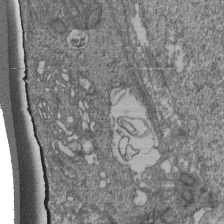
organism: Human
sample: Retinal organoid Rod and Cone cells